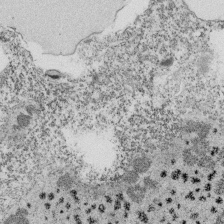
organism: Tetrahymena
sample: Cilia in tetrahymena